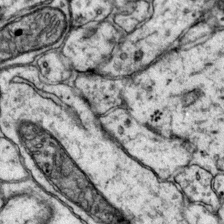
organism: Mouse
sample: Primary visual cortex